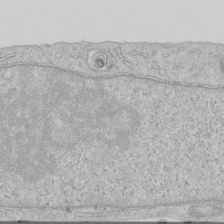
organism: Human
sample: Centriole in RPE cells